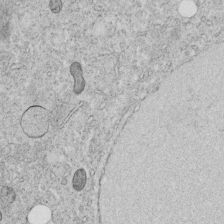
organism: C. elegans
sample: C. elegans embryo early stage